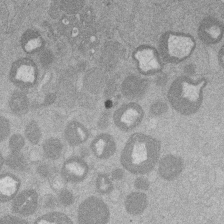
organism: Mouse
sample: Dividing mouse embryo 1 cell stage